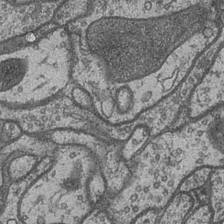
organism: Drosophila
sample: Optic medulla